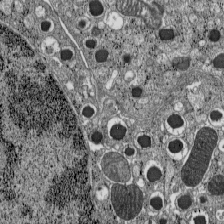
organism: C57BL Mouse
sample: Pancreatic islet